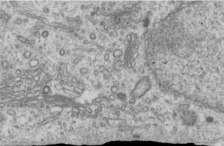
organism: Human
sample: Centriole in RPE cells